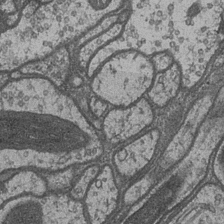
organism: Drosophila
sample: Optic medulla